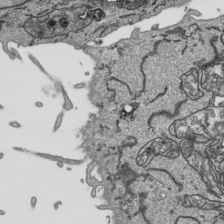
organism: Human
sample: Mitochondria in HCT116 cells